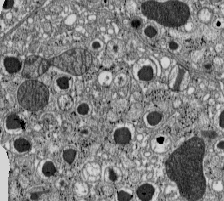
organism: C57BL Mouse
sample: Pancreatic islet